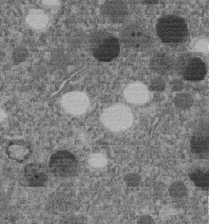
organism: C. elegans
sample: C. elegans embryo early stage